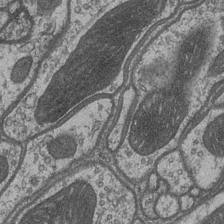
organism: Drosophila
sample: Optic medulla